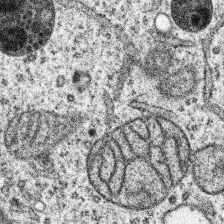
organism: Human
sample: HeLa cells